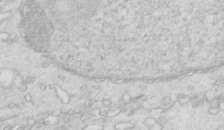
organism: Mouse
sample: Multiciliated cells